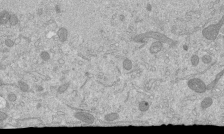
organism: Mouse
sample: ED-1 cell nuclei; centrioles